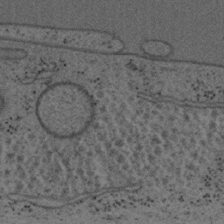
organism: Human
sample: HeLa cells